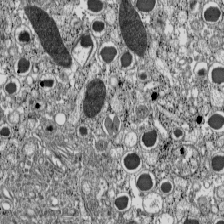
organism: C57BL Mouse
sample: Pancreatic islet